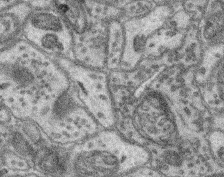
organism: Mouse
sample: Retina